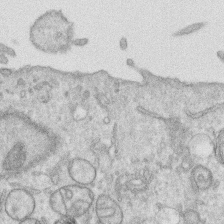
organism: Human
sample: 1205lu cells